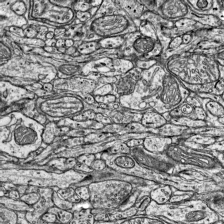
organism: Mouse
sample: Visual Cortex